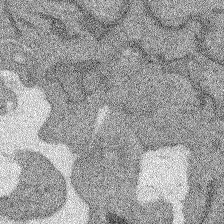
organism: Human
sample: HeLa cells